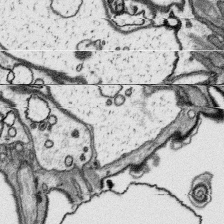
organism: Platynereis dumerilii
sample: Parapodia